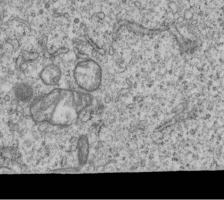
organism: Human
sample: MDA-MB-231 cells